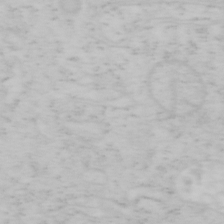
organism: Mouse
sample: OT-I killer T cells with ID8 ovarian cancer cells